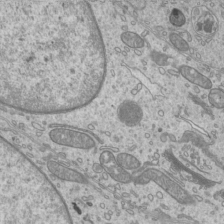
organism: Mouse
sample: Cilia; mouse epididymis